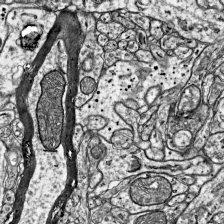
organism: Mouse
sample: Visual Cortex